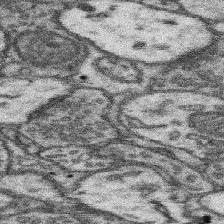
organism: Mouse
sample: Somatosensory cortex neuropil